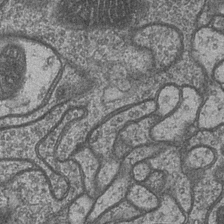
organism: Drosophila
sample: Optic medulla